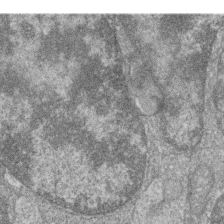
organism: Zebrafish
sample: Cilia; retinal pigment epithelium